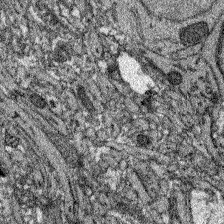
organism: Zebrafish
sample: Larval olfactory bulb